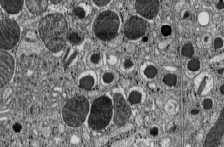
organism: C57BL Mouse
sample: Pancreatic islet